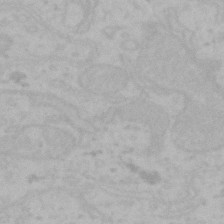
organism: Mouse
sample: Choroid plexus